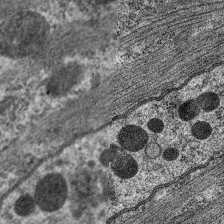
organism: C. elegans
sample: Pharynx